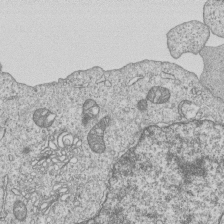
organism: Human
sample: MDA-MB-231 cells